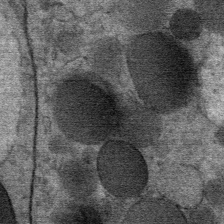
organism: Mouse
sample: Mouse Salivary gland